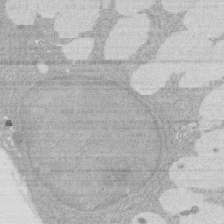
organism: Rat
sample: Salivary granule